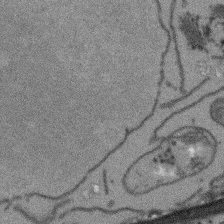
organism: Arabidopsis thaliana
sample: Root tip